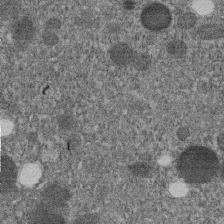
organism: C. elegans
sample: C. elegans embryo early stage